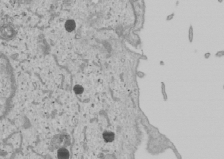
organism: Human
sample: Mitochondria in U2OS cells